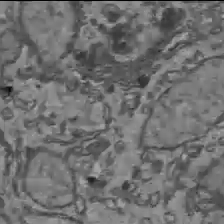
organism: C57BL Mouse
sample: Liver